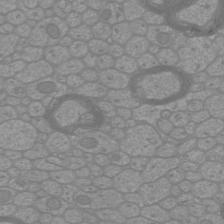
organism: Mouse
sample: Cortical neurons